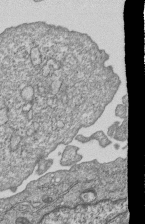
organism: Human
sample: MDA-MB-231 cells